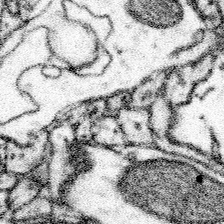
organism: Mouse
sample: Somatosensory cortex neuropil